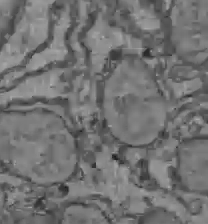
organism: C57BL Mouse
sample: Liver